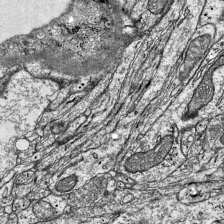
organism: Mouse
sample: Visual Cortex